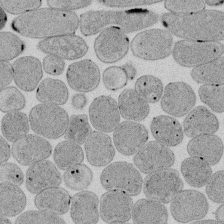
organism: E. coli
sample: Bacterial nucleoid